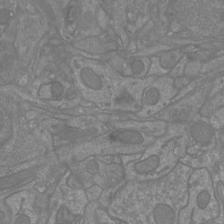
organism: Mouse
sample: Cortical neurons